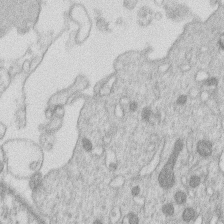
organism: Human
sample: Macrophage cells